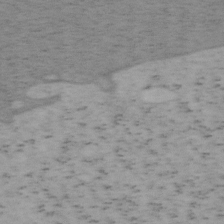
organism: Mouse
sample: OT-I killer T cells with ID8 ovarian cancer cells